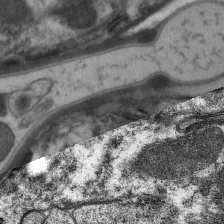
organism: C. elegans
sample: Pharynx